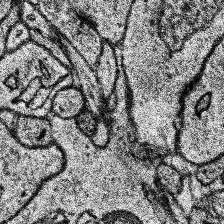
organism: Human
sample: Temporal Lobe